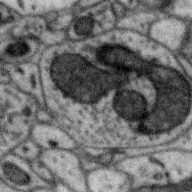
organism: Zebra finch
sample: Brain